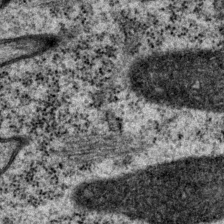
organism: P. pacificus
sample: Pharynx